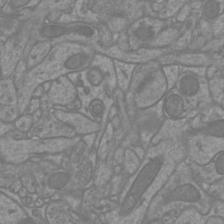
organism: Mouse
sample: Cortical neurons